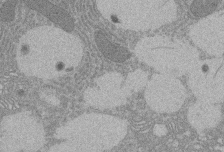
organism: Rat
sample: Salivary granule